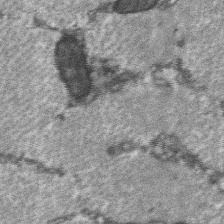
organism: C57BL Mouse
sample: Soleus